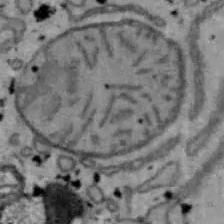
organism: Mouse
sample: Liver